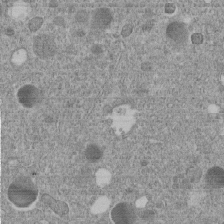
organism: C. elegans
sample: C. elegans embryo early stage